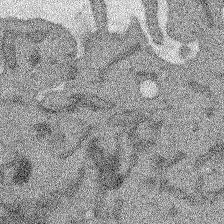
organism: Human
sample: HeLa cells